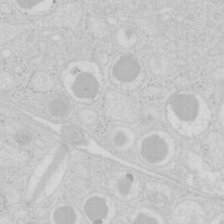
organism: Mouse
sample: Pancreas